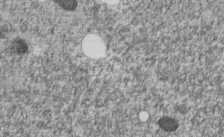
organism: C. elegans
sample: C. elegans embryo early stage